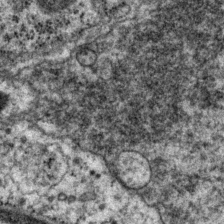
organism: P. pacificus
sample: Pharynx